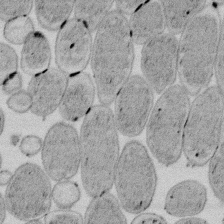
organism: E. coli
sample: Bacterial nucleoid